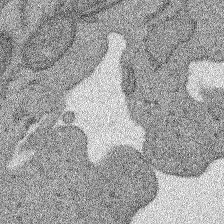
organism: Human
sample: HeLa cells